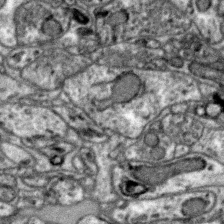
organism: Zebra finch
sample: Brain